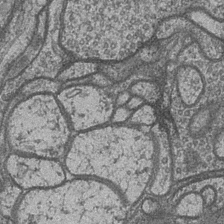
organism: Drosophila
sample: Optic medulla